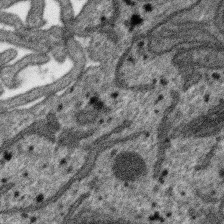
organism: Human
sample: Lung epithelial cells infected with SARS-CoV-2